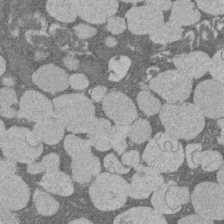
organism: Rat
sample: Salivary granule